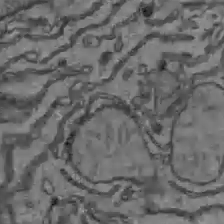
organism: C57BL Mouse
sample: Liver